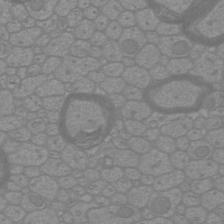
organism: Mouse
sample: Cortical neurons